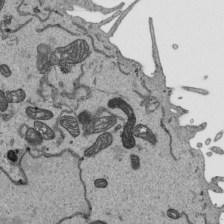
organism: Human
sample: Mitochondria in HCT116 cells